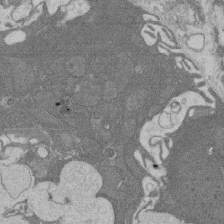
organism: Rat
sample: Salivary granule